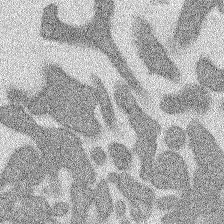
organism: Human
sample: HeLa cells